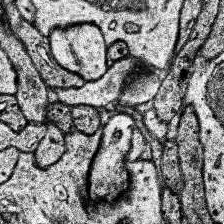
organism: Human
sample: Temporal Lobe